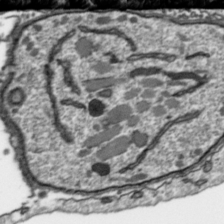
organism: Toxoplasma gondii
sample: Parasites in a vacuole inside a host cell